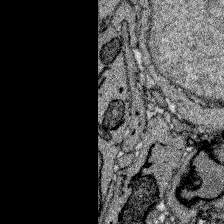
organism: Zebrafish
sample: Larval olfactory bulb